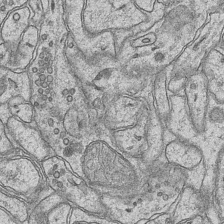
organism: Mouse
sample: CA1 Hippocampus